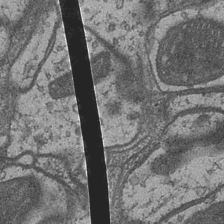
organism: Drosophila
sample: Optic medulla